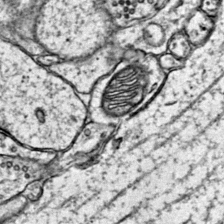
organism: Mouse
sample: Primary visual cortex